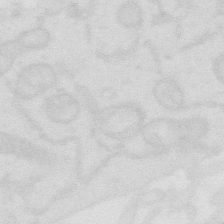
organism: Human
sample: HeLa cells